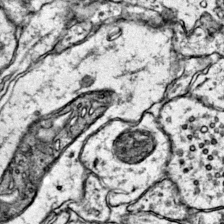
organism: Mouse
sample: Primary visual cortex